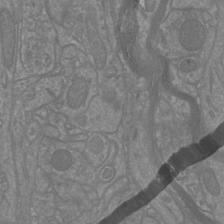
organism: Mouse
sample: Cortical neurons